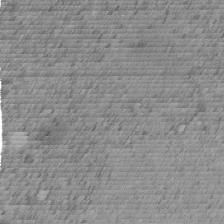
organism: C. elegans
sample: C. elegans embryo early stage